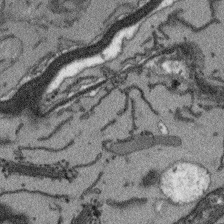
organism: Arabidopsis thaliana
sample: Root tip